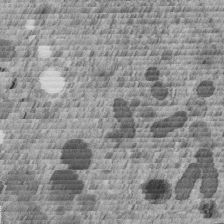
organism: C. elegans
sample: C. elegans embryo early stage